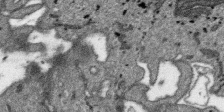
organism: Human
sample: Lung epithelial cells, uninfected (mock) control